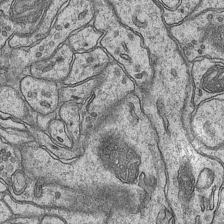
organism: Mouse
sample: CA1 Hippocampus